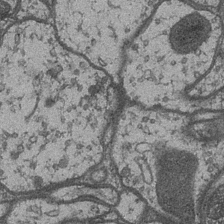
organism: Drosophila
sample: Optic medulla